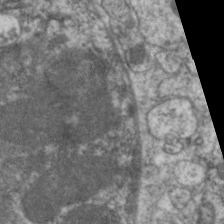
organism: C. elegans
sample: Pharynx